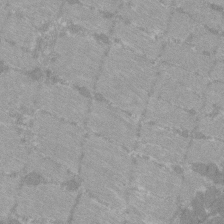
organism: C57BL Mouse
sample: Tibialis anterior muscle cell